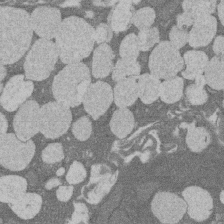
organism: Rat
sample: Salivary granule